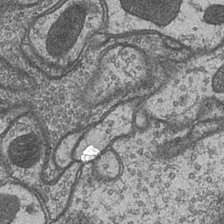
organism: Drosophila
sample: Optic medulla